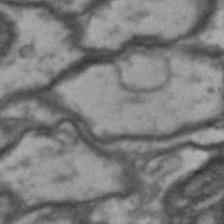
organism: Drosophila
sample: Brain